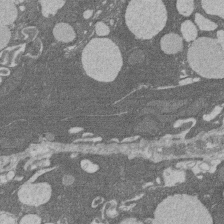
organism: Rat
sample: Salivary granule